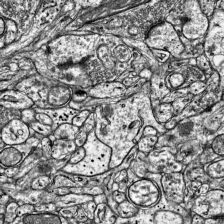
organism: Mouse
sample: Visual Cortex